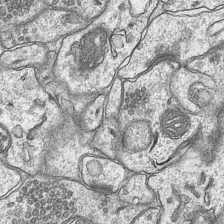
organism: Mouse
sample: CA1 Hippocampus